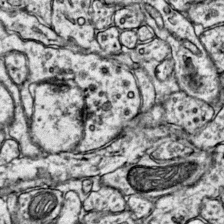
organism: Mouse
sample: Primary visual cortex